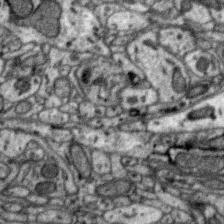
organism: Zebra finch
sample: Brain